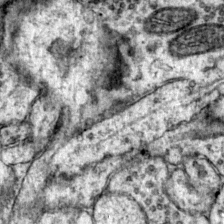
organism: Mouse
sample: Primary visual cortex